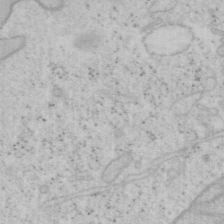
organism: Human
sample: HeLa cells